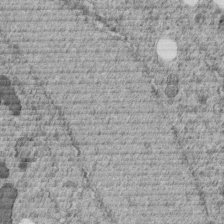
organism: C. elegans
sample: C. elegans embryo early stage